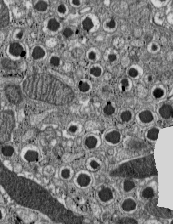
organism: C57BL Mouse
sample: Pancreatic islet